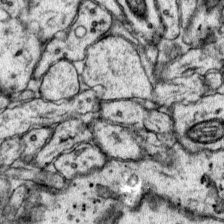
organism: Mouse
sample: Primary visual cortex